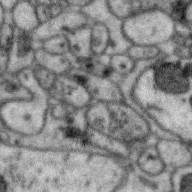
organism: Zebra finch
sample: Brain